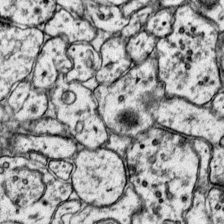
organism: Mouse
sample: Primary visual cortex